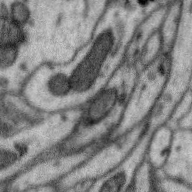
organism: Zebra finch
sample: Brain